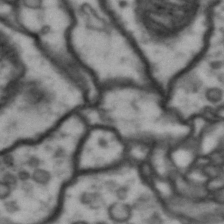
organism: Drosophila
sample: Brain